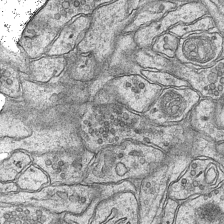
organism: Mouse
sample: CA1 Hippocampus